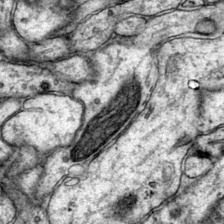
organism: Mouse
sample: Primary visual cortex